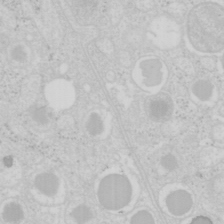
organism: Mouse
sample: Pancreas